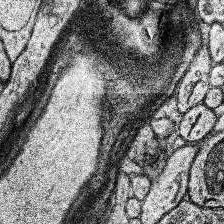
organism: Human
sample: Temporal Lobe